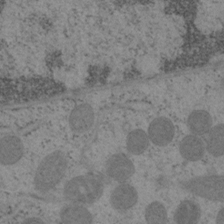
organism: Mouse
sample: OT-I killer T cells with ID8 ovarian cancer cells